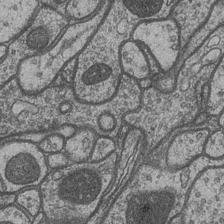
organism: Drosophila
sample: Optic medulla